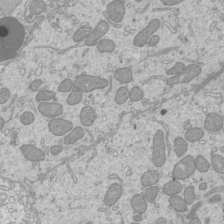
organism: Mouse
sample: Cilia; mouse epididymis